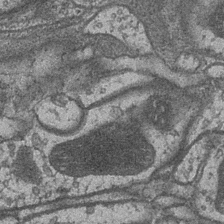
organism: Drosophila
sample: Optic medulla